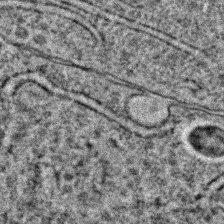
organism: C. elegans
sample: C. elegans embryo